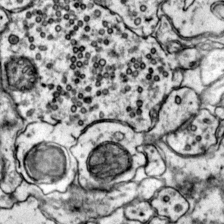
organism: Mouse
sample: Primary visual cortex